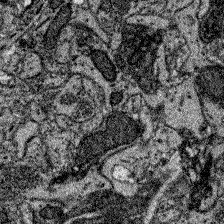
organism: Zebrafish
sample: Larval olfactory bulb